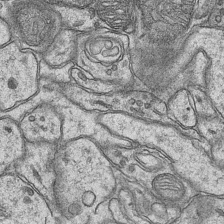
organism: Mouse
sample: CA1 Hippocampus